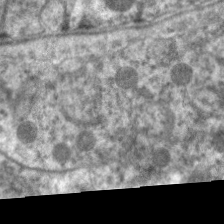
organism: C. elegans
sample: Pharynx